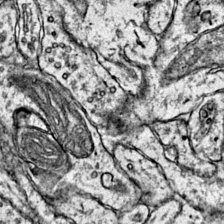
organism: Mouse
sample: Primary visual cortex